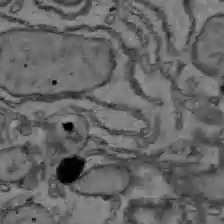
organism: C57BL Mouse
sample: Liver